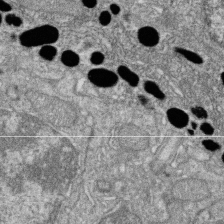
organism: Zebrafish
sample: Cilia; retinal pigment epithelium